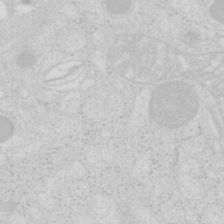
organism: Mouse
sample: Pancreas